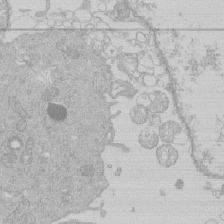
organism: Human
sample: Macrophage cells